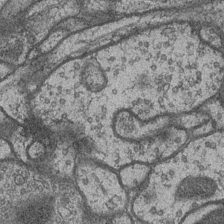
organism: Drosophila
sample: Optic medulla